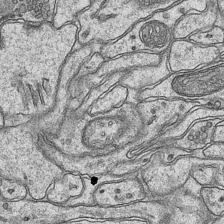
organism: Mouse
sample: CA1 Hippocampus